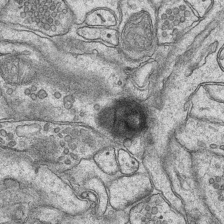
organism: Mouse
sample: CA1 Hippocampus